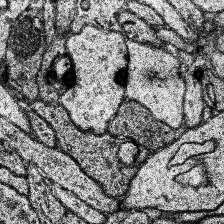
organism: Human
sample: Temporal Lobe